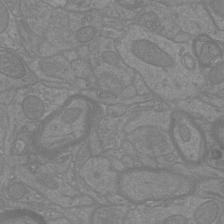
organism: Mouse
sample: Cortical neurons